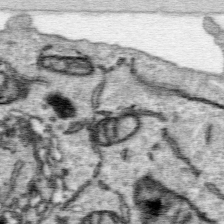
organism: Human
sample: HeLa cells